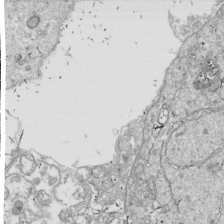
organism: Drosophila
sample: Cell division; meiosis; drosophila spermatocytes